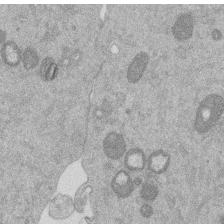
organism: Mouse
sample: Dividing mouse embryo 1 cell stage